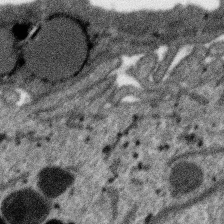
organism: Human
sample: Lung epithelial cells infected with SARS-CoV-2